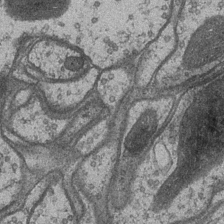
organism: Drosophila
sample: Optic medulla